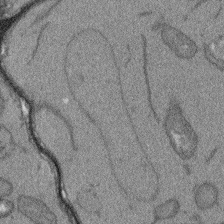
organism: Arabidopsis thaliana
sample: Root tip